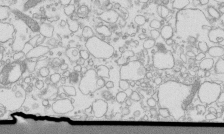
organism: Mouse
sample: Macrophages